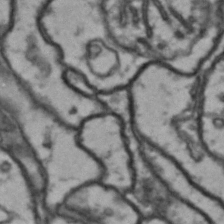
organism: Drosophila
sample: Brain